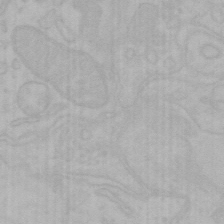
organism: Mouse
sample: Choroid plexus